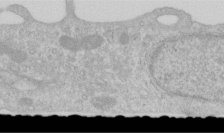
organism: Human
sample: Centriole in RPE cells